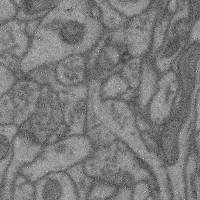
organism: Mouse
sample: Cerebral cortex